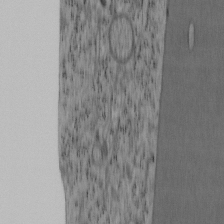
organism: Human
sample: HeLa cells